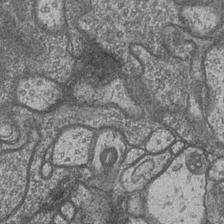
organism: Drosophila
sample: Optic medulla